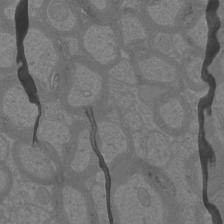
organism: Mouse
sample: Cortical neurons